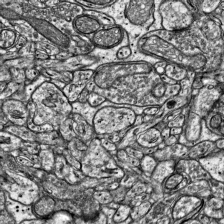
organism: Mouse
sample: Visual Cortex